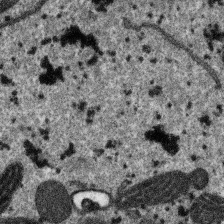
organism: Human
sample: Lung epithelial cells infected with SARS-CoV-2